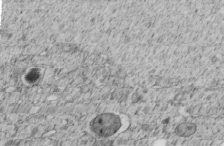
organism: C. elegans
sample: C. elegans embryo early stage